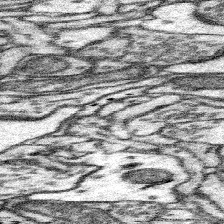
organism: Mouse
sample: Somatosensory cortex neuropil